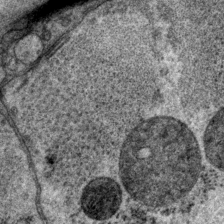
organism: P. pacificus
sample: Pharynx